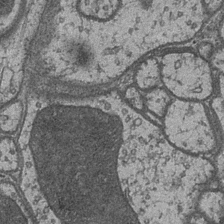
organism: Drosophila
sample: Optic medulla